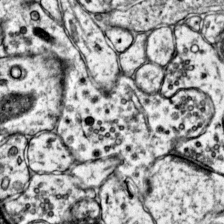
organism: Mouse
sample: Primary visual cortex